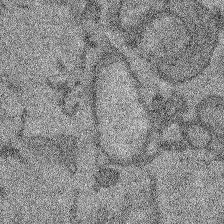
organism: Human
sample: HeLa cells